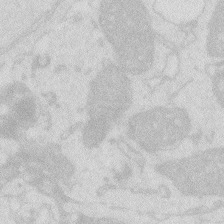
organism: Zebrafish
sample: Macrophage